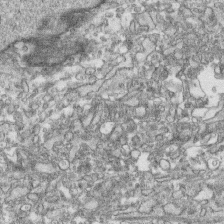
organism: Human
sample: CRL-1474